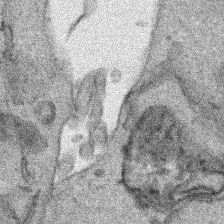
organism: Human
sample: Mitochondria in HCT116 cells